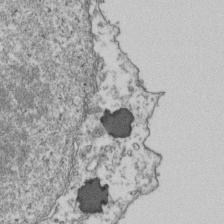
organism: Human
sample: Activated Jurkat CD4+ T cells